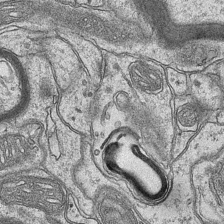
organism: Mouse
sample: CA1 Hippocampus